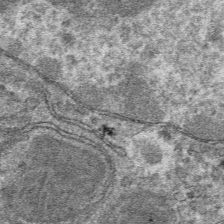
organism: Mouse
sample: Mouse hepatocytes